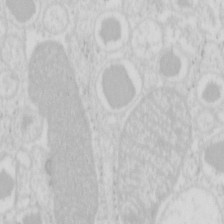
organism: Mouse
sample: Pancreas